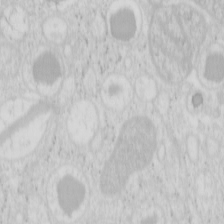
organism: Mouse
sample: Pancreas